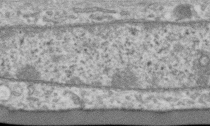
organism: Human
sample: Centriole in RPE cells